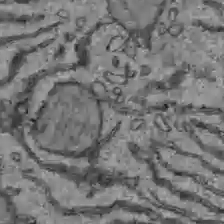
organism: C57BL Mouse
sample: Liver